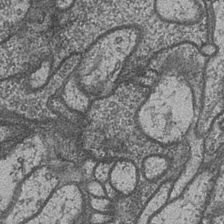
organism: Drosophila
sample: Optic medulla